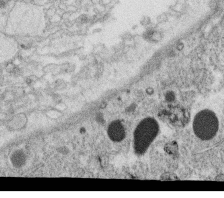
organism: C. elegans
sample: C. elegans oocyte; sperm cells